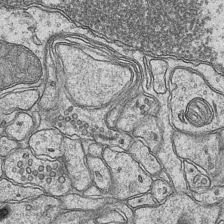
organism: Mouse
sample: CA1 Hippocampus